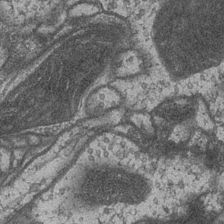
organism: Drosophila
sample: Optic medulla